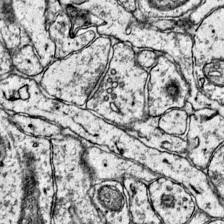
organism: Mouse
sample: Primary visual cortex